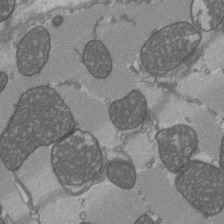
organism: C57BL Mouse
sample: Heart